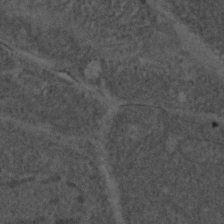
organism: C. elegans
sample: C. elegans embryo